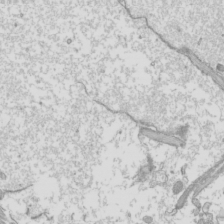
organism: Mouse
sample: Cilia; mouse epididymis